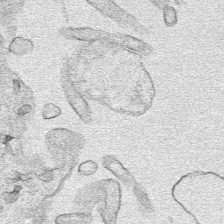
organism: Human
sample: Mitochondria in HCT116 cells